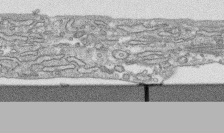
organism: Human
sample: CRL-1474